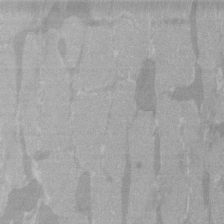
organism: C57BL Mouse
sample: Tibialis anterior muscle cell